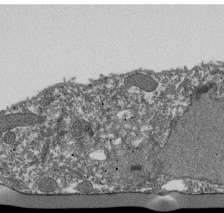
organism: Dictyostelium discoideum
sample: Dictyostelium multivesicular bodies